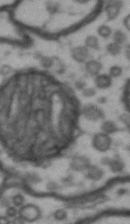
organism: Drosophila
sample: Brain